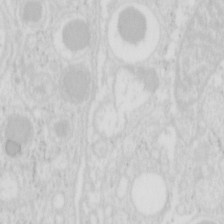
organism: Mouse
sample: Pancreas